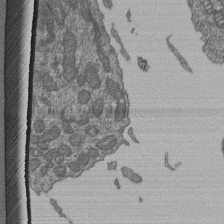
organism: Human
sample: Retinal organoid Rod and Cone cells